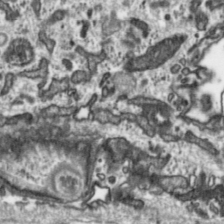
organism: Toxoplasma gondii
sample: Parasites in a vacuole inside a host cell